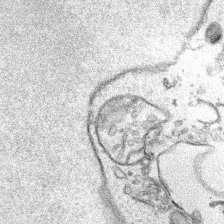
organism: Human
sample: Mitochondria in HCT116 cells